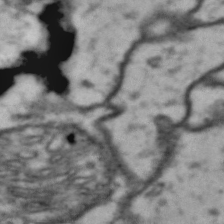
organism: Drosophila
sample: Brain